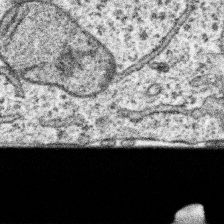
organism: Human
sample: HeLa cells